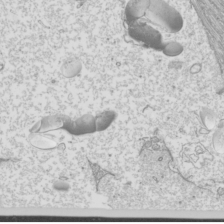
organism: Mouse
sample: Cilia; mouse epididymis